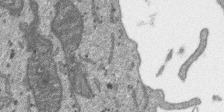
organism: Human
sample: Lung epithelial cells infected with SARS-CoV-2